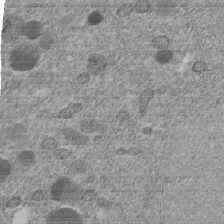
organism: C. elegans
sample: C. elegans embryo early stage